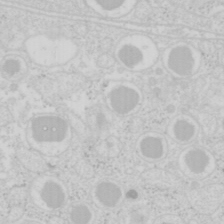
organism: Mouse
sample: Pancreas